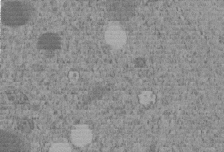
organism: C. elegans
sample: C. elegans embryo early stage